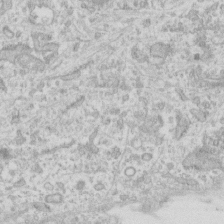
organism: Human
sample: Fibroblast cells